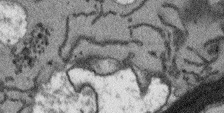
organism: Arabidopsis thaliana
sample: Root tip